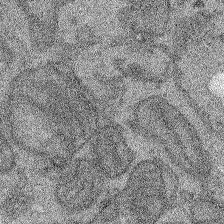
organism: Human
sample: HeLa cells